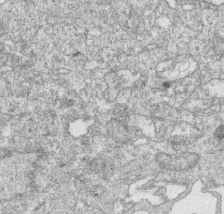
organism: Human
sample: HeLa cell HIV synapse